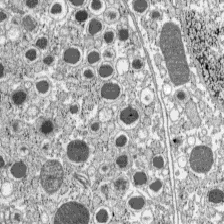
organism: C57BL Mouse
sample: Pancreatic islet